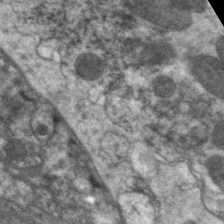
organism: C. elegans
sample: Pharynx